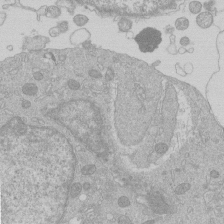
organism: Human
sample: Macrophage cells